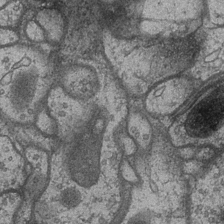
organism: Drosophila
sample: Optic medulla